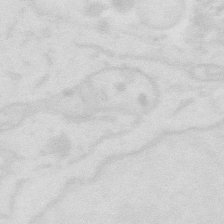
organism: Human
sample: HeLa cells